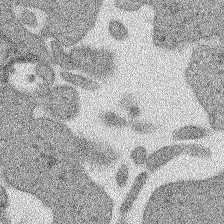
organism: Human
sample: HeLa cells